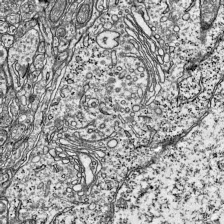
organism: Mouse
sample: Visual Cortex